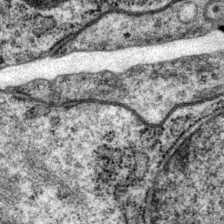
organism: P. pacificus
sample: Pharynx